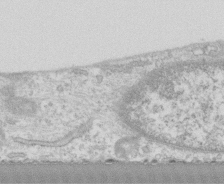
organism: Human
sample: CRL-1474